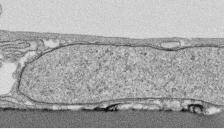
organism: Human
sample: CRL-1474